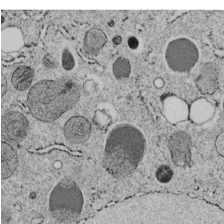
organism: C. elegans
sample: C. elegans embryo early stage